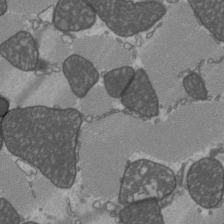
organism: C57BL Mouse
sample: Heart